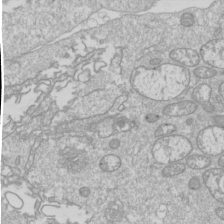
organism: Drosophila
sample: Cell division; meiosis; drosophila spermatocytes